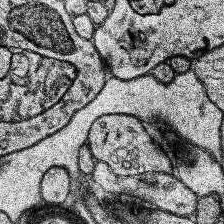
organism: Human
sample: Temporal Lobe